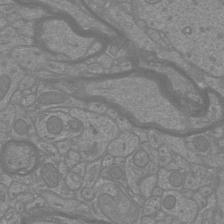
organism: Mouse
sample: Cortical neurons